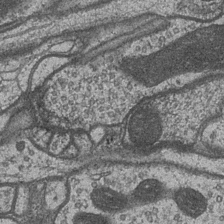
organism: Drosophila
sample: Optic medulla